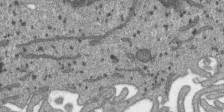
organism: Human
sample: Lung epithelial cells infected with SARS-CoV-2